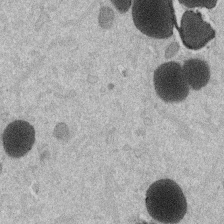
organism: Mouse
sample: Dividing mouse embryo 1 cell stage